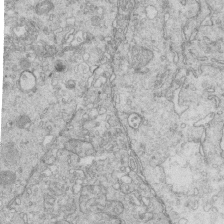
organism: Mouse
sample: Multiciliated cells